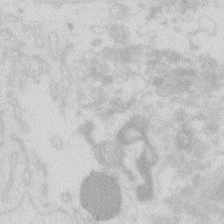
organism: Zebrafish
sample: Macrophage